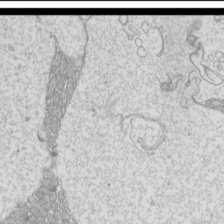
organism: Mouse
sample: Cilia; mouse epididymis